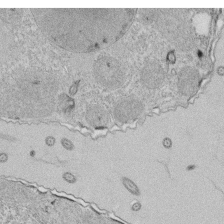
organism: Tetrahymena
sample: Cilia in tetrahymena